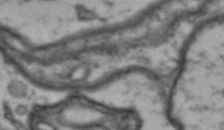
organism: Drosophila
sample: Brain